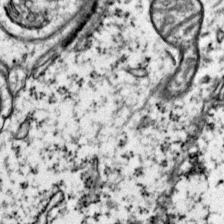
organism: Mouse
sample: Primary visual cortex